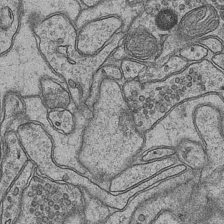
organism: Mouse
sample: CA1 Hippocampus